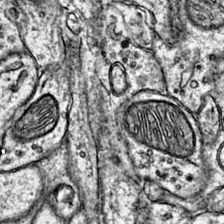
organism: Mouse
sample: Primary visual cortex